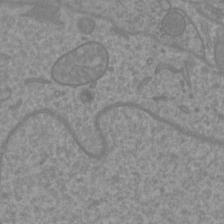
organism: Mouse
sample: Cortical neurons